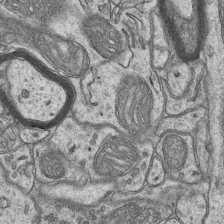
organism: Mouse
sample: CA1 Hippocampus